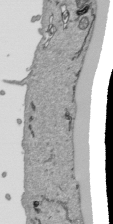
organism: Human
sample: Mitochondria in HCT116 cells